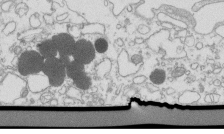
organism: Mouse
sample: Macrophages